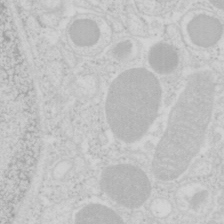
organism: Mouse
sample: Pancreas